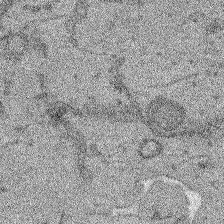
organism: Human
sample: HeLa cells